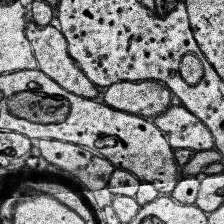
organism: Human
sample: Temporal Lobe